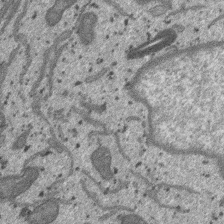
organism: Human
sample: Lung epithelial cells infected with SARS-CoV-2